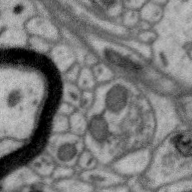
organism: Zebra finch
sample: Brain